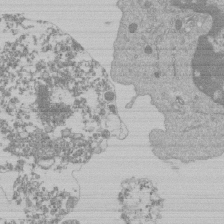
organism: Mouse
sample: Activated Pmel transgenic CD8+ T Cells